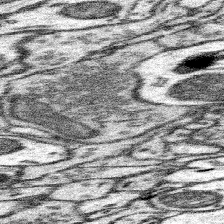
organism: Mouse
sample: Somatosensory cortex neuropil